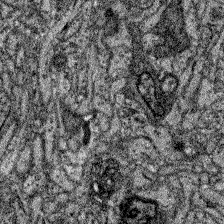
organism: Zebrafish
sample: Larval olfactory bulb